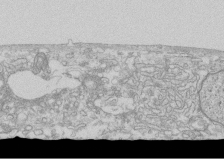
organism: Human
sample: CRL-1474